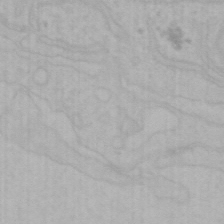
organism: Mouse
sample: Choroid plexus